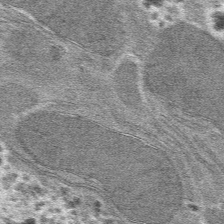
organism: Mouse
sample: Mouse hepatocytes